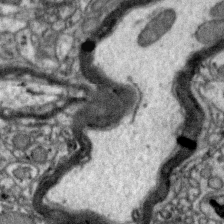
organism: Zebra finch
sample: Brain